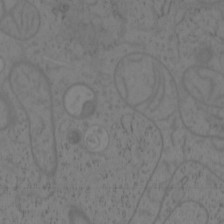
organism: Human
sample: HeLa cells